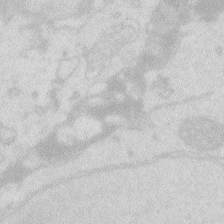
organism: Zebrafish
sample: Macrophage